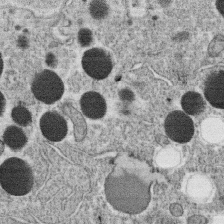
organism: C. elegans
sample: C. elegans oocyte; sperm cells